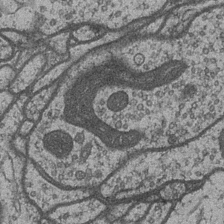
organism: Drosophila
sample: Optic medulla